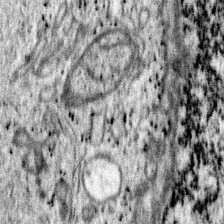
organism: Human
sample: HeLa cells